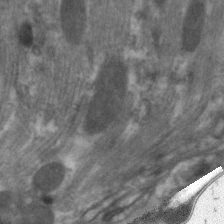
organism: C. elegans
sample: Pharynx